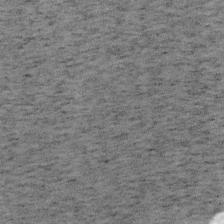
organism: Mouse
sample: OT-I killer T cells with ID8 ovarian cancer cells